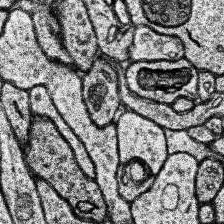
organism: Human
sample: Temporal Lobe